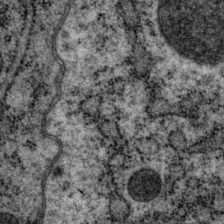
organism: P. pacificus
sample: Pharynx